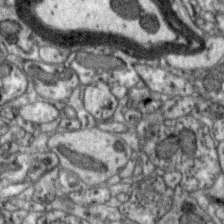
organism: Zebra finch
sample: Brain